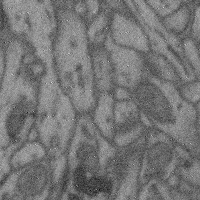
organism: Mouse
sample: Cerebral cortex